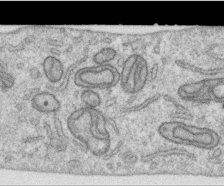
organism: Human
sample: Centriole in RPE cells